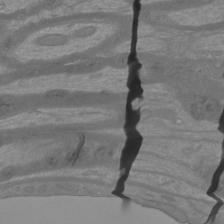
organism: Mouse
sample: Cortical neurons